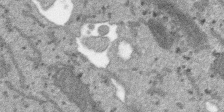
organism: Human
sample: Lung epithelial cells infected with SARS-CoV-2